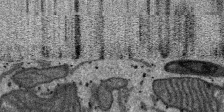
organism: Human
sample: Lung epithelial cells, uninfected (mock) control